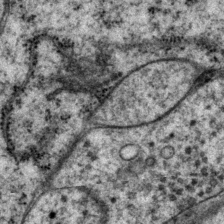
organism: P. pacificus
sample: Pharynx